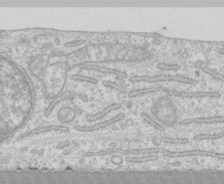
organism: Human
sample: CRL-1474